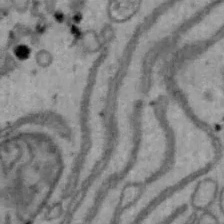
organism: Mouse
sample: Liver